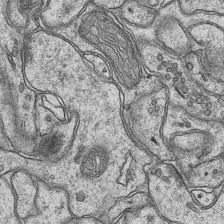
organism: Mouse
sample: CA1 Hippocampus